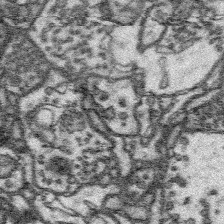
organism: Platynereis dumerilii